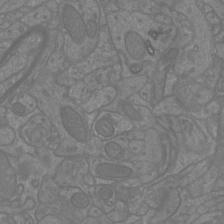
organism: Mouse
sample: Cortical neurons